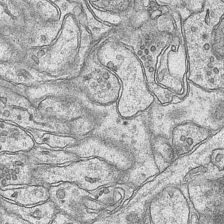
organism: Mouse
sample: CA1 Hippocampus